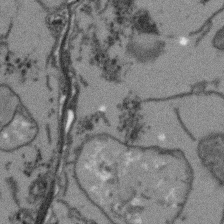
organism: Arabidopsis thaliana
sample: Root tip